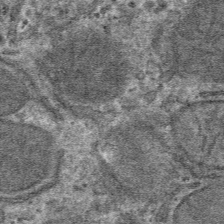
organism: Mouse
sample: Mouse hepatocytes